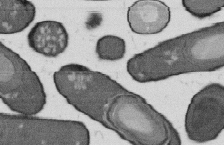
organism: B. subtilis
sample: Bacterial spore